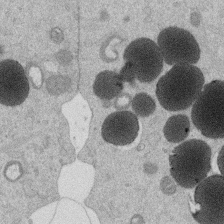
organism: Mouse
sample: Dividing mouse embryo 1 cell stage